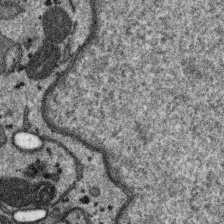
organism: Human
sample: Lung epithelial cells infected with SARS-CoV-2